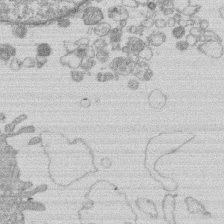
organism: Human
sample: Macrophage cells